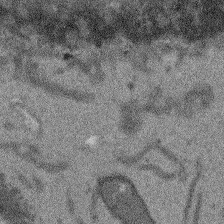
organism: Arabidopsis thaliana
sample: Root tip